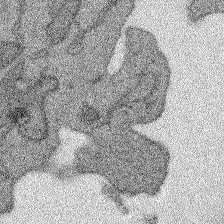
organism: Human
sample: HeLa cells